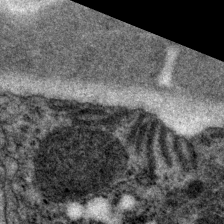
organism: P. pacificus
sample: Pharynx